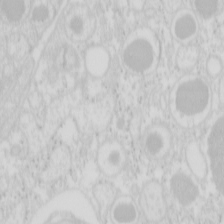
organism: Mouse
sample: Pancreas